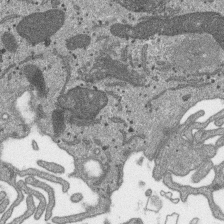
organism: Human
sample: Lung epithelial cells infected with SARS-CoV-2